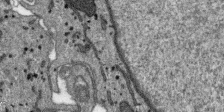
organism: Human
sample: Lung epithelial cells, uninfected (mock) control